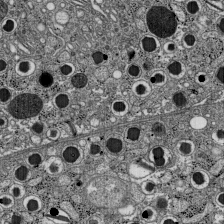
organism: C57BL Mouse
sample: Pancreatic islet